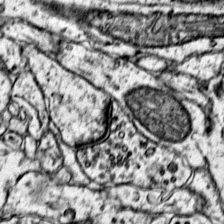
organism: Mouse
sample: Primary visual cortex